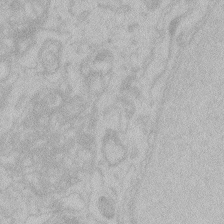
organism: Zebrafish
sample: Macrophage infected with Toxoplasma gondii